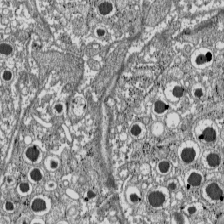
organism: C57BL Mouse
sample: Pancreatic islet